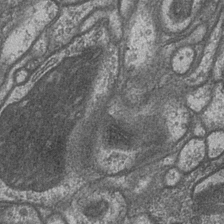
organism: Drosophila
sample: Optic medulla